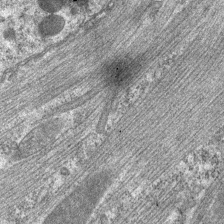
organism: C. elegans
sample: Pharynx